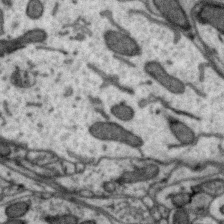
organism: Zebra finch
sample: Brain